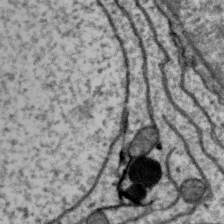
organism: Zebra finch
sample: Brain